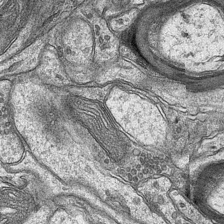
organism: Mouse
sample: CA1 Hippocampus